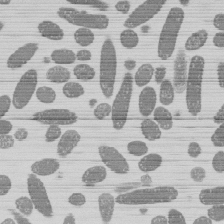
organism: E. coli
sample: Bacterial nucleoid